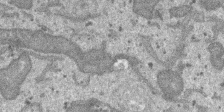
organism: Human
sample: Lung epithelial cells infected with SARS-CoV-2